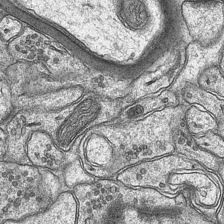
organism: Mouse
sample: CA1 Hippocampus